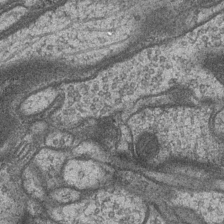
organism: Drosophila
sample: Optic medulla